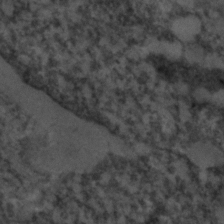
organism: C. elegans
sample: C. elegans embryo